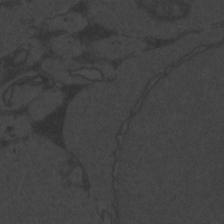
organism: Zebrafish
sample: Macrophage infected with Toxoplasma gondii